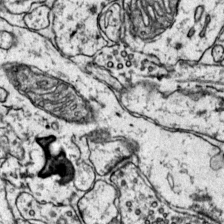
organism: Mouse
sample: Primary visual cortex